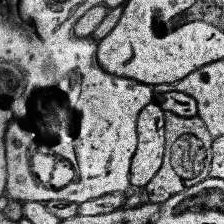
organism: Human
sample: Temporal Lobe